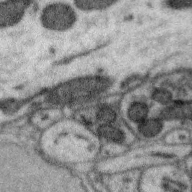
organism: Zebra finch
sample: Brain